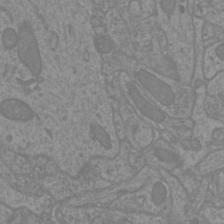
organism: Mouse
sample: Cortical neurons